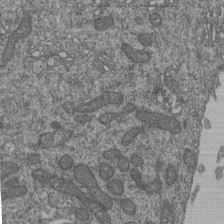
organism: Human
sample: Retinal organoid Rod and Cone cells